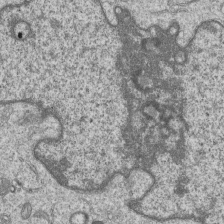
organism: Human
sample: MDA-MB-231 cells